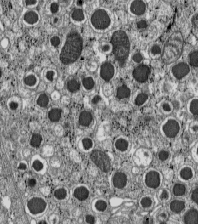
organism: C57BL Mouse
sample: Pancreatic islet